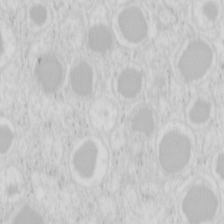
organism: Mouse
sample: Pancreas